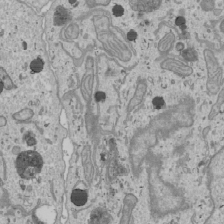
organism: Human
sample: Mitochondria in U2OS cells